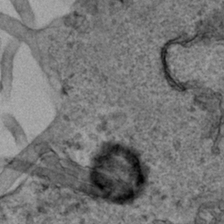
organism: Human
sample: Mitochondria in HCT116 cells